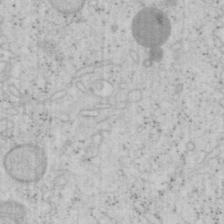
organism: Human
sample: HeLa cells